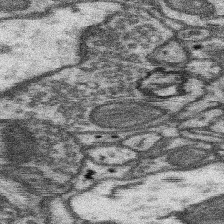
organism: Mouse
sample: Somatosensory cortex neuropil